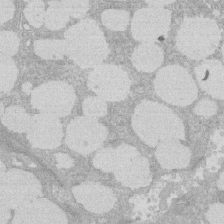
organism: Rat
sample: Salivary granule